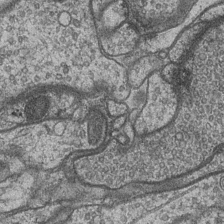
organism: Drosophila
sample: Optic medulla